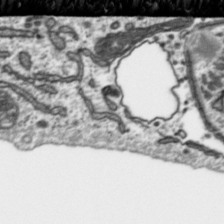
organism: Toxoplasma gondii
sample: Parasites in a vacuole inside a host cell